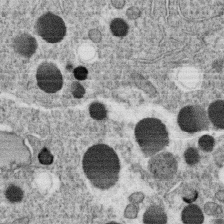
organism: C. elegans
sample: C. elegans oocyte; sperm cells